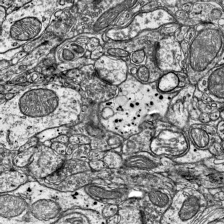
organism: Mouse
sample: Visual Cortex